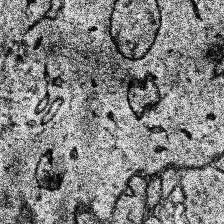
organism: Human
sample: Temporal Lobe